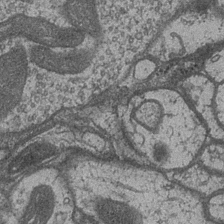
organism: Drosophila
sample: Optic medulla